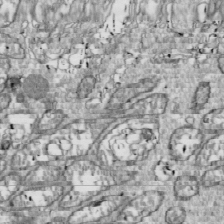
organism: Drosophila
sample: Cell division; meiosis; drosophila spermatocytes